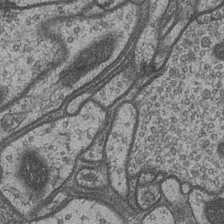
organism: Drosophila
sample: Optic medulla